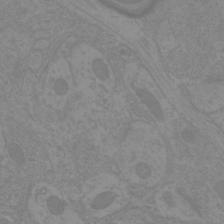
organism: Mouse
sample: Cortical neurons